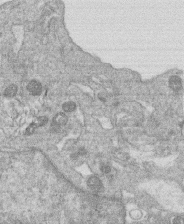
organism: Human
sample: Macrophage cells